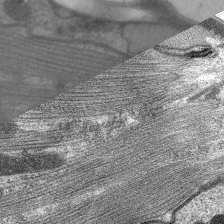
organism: C. elegans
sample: Pharynx